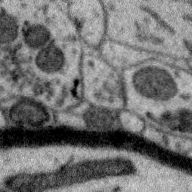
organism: Zebra finch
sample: Brain